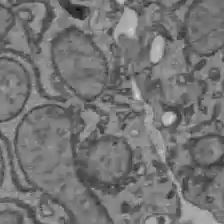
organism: C57BL Mouse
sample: Liver